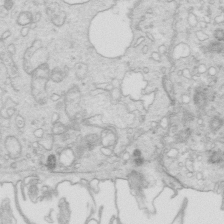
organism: Mouse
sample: Multiciliated cells